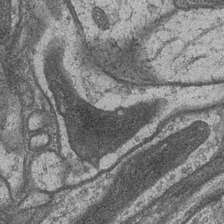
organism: Drosophila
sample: Optic medulla